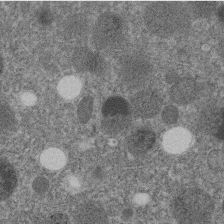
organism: C. elegans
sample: C. elegans embryo early stage